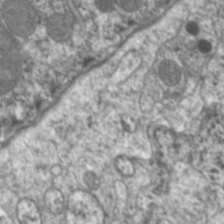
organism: C. elegans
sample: Pharynx